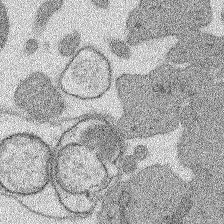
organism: Human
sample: HeLa cells